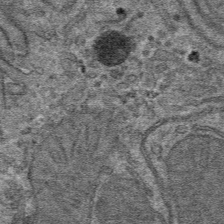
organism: Mouse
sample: Mouse hepatocytes